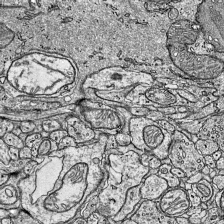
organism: Mouse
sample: Visual Cortex